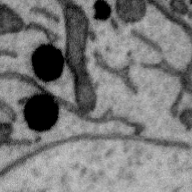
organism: Zebra finch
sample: Brain